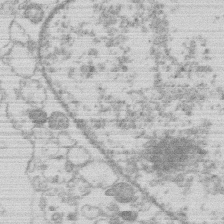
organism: Human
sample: Macrophage cells